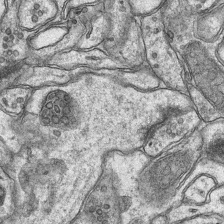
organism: Mouse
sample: CA1 Hippocampus